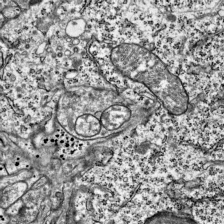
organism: Mouse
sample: Visual Cortex